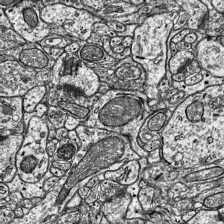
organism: Mouse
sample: Visual Cortex